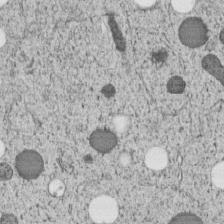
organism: C. elegans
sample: C. elegans embryo early stage